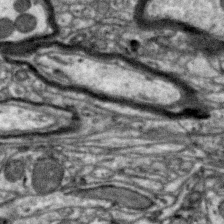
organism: Zebra finch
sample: Brain